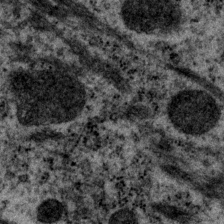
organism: P. pacificus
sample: Pharynx